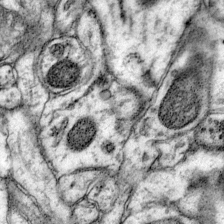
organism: Mouse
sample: Primary visual cortex